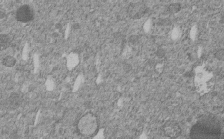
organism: C. elegans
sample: C. elegans embryo early stage